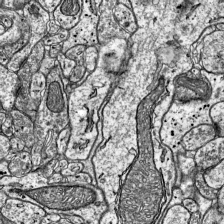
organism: Mouse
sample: Visual Cortex